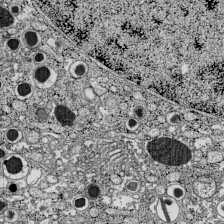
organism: C57BL Mouse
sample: Pancreatic islet